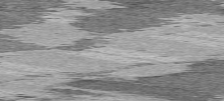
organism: C57BL Mouse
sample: Heart